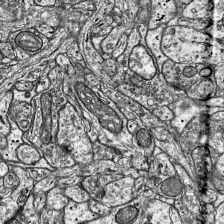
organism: Mouse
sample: Visual Cortex